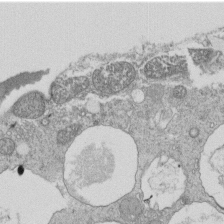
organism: Tetrahymena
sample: Cilia in tetrahymena